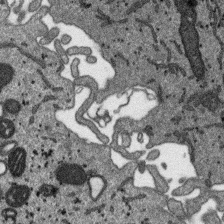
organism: Human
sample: Lung epithelial cells infected with SARS-CoV-2